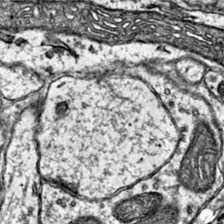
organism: Mouse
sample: Primary visual cortex